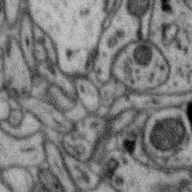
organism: Zebra finch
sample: Brain